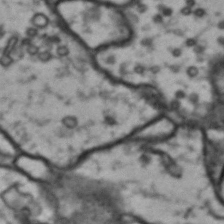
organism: Drosophila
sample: Brain